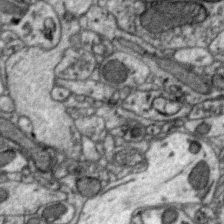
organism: Zebra finch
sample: Brain